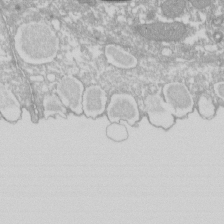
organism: Xenopus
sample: Cilia; centrioles in frog embryo cells